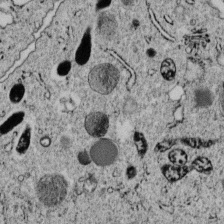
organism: C. elegans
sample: C. elegans embryo early stage